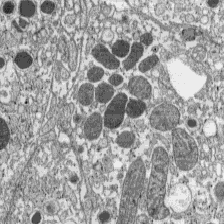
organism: C57BL Mouse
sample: Pancreatic islet